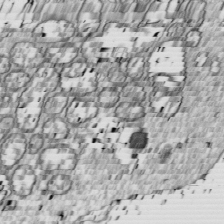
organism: Drosophila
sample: Cell division; meiosis; drosophila spermatocytes